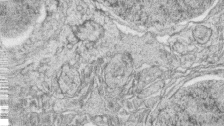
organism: Zebrafish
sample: synaptic ribbons in rod cells and cone cells